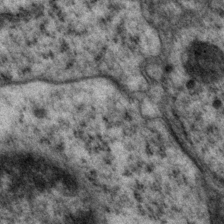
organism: P. pacificus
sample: Pharynx